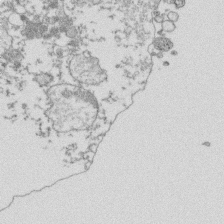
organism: Human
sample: HeLa cell HIV synapse